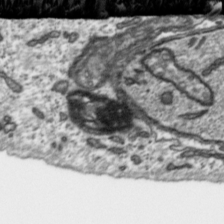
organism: Toxoplasma gondii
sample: Parasites in a vacuole inside a host cell